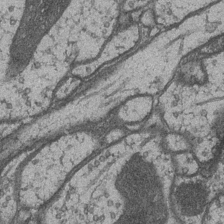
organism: Drosophila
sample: Optic medulla